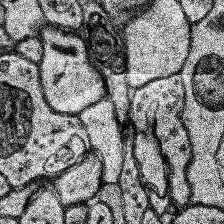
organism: Human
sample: Temporal Lobe